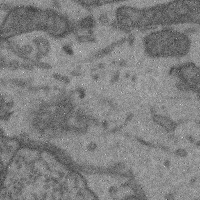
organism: Mouse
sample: Cerebral cortex